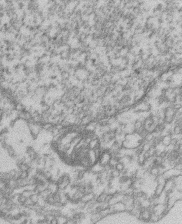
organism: Mouse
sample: T cell stromal cell synapse